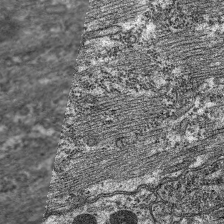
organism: C. elegans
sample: Pharynx